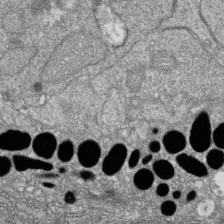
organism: Zebrafish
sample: Cilia; retinal pigment epithelium